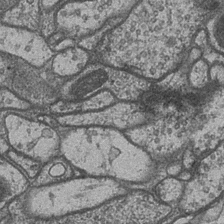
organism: Drosophila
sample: Optic medulla